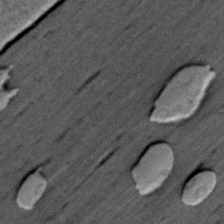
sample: Trachea